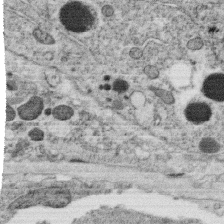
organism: C. elegans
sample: C. elegans oocyte; sperm cells